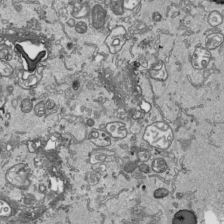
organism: Human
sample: Mitochondria in HCT116 cells